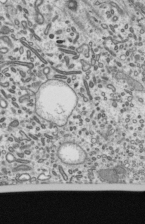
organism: Mouse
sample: Mouse epididymis efferent ductule cilia